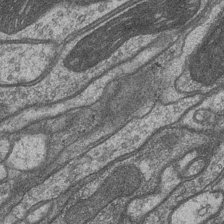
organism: Drosophila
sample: Optic medulla